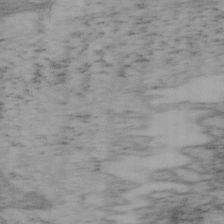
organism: Mouse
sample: OT-I killer T cells with ID8 ovarian cancer cells